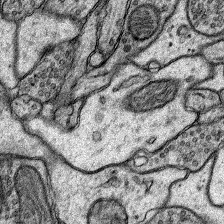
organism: Rat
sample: Hippocampus